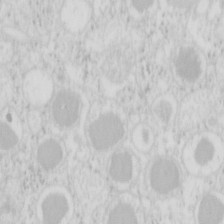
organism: Mouse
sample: Pancreas